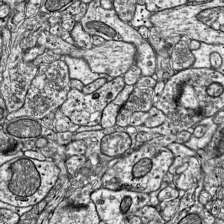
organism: Mouse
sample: Visual Cortex